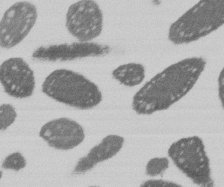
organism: E. coli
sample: Bacterial nucleoid